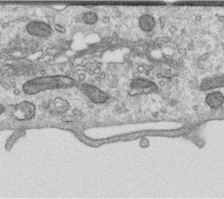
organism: Human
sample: Centriole in RPE cells